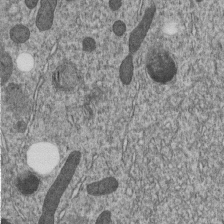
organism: C. elegans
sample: C. elegans embryo early stage